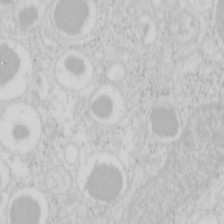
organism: Mouse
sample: Pancreas